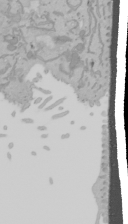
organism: Mouse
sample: Cancer cell death in ED-1 cells